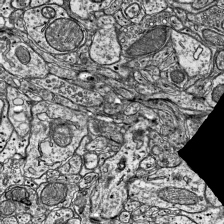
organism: Mouse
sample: Visual Cortex